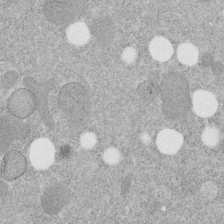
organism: C. elegans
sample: C. elegans embryo early stage